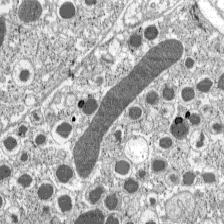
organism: C57BL Mouse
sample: Pancreatic islet